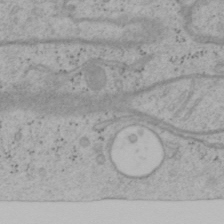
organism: Human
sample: HeLa cells